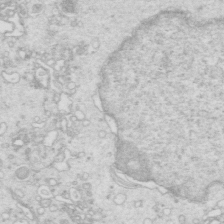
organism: Mouse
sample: Multiciliated cells